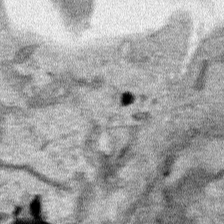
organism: Human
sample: Mitochondria in HCT116 cells